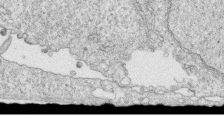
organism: Human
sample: HeLa cell HIV synapse